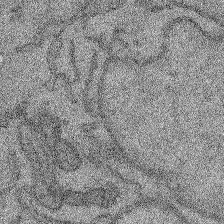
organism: Human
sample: HeLa cells